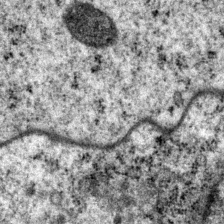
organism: P. pacificus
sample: Pharynx